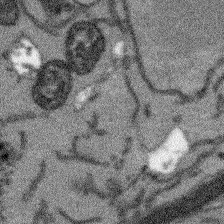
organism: Arabidopsis thaliana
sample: Root tip